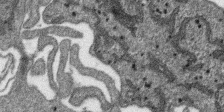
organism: Human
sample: Lung epithelial cells infected with SARS-CoV-2